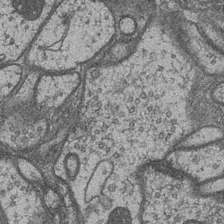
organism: Drosophila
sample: Optic medulla